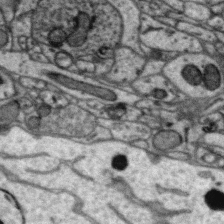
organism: Zebra finch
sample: Brain